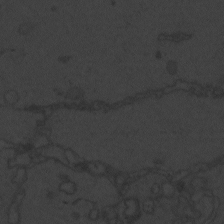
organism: Zebrafish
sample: Macrophage infected with Toxoplasma gondii